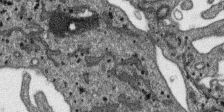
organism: Human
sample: Lung epithelial cells infected with SARS-CoV-2